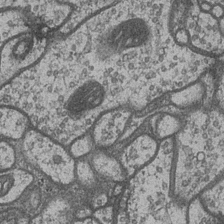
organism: Drosophila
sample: Optic medulla